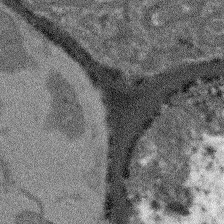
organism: Arabidopsis thaliana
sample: Root tip